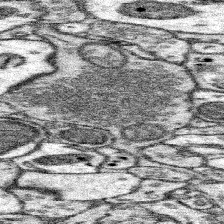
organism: Mouse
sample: Somatosensory cortex neuropil